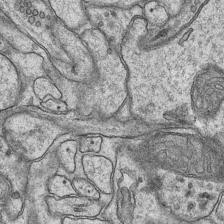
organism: Mouse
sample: CA1 Hippocampus